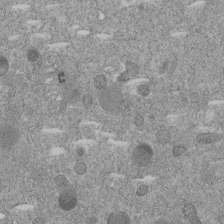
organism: C. elegans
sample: C. elegans embryo early stage